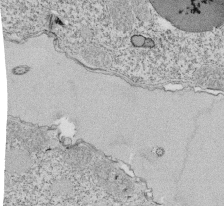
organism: Tetrahymena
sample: Cilia in tetrahymena